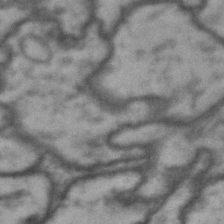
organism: Drosophila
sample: Brain